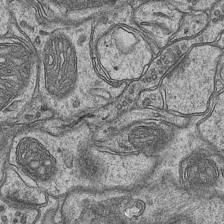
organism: Mouse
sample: CA1 Hippocampus